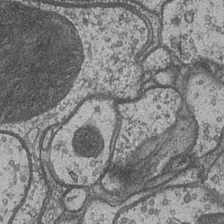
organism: Drosophila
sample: Optic medulla